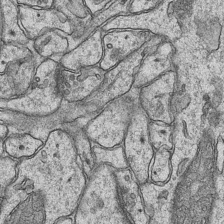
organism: Mouse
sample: CA1 Hippocampus